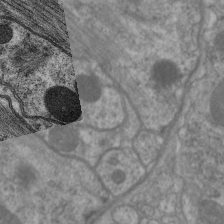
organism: C. elegans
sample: Pharynx